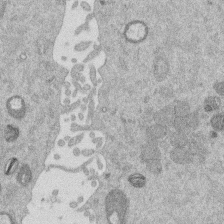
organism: Mouse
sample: Dividing mouse embryo 1 cell stage